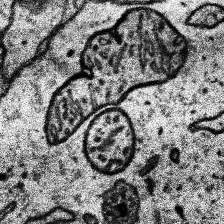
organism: Human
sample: Temporal Lobe